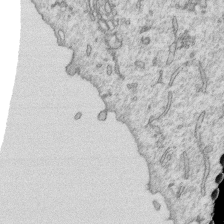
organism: Human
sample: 1205lu cells